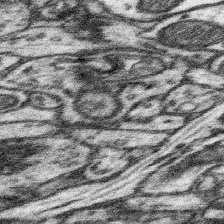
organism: Mouse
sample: Somatosensory cortex neuropil